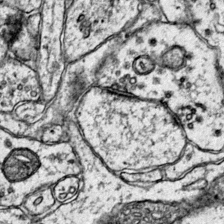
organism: Mouse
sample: Primary visual cortex